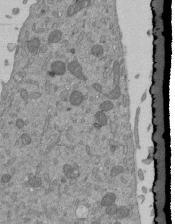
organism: Mouse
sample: ED-1 cell nuclei; centrioles